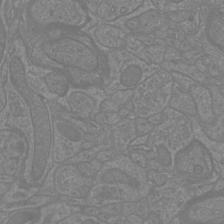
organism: Mouse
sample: Cortical neurons